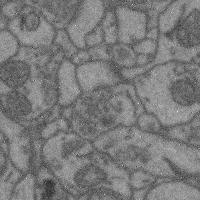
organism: Mouse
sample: Cerebral cortex